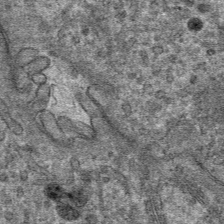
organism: Mouse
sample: Mouse hepatocytes